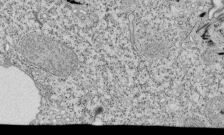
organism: Tetrahymena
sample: Cilia in tetrahymena